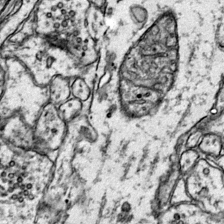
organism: Mouse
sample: Primary visual cortex